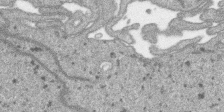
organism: Human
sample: Lung epithelial cells infected with SARS-CoV-2